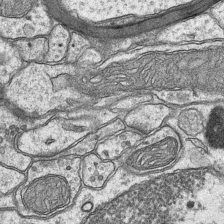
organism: Mouse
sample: CA1 Hippocampus